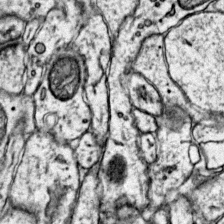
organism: Mouse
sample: Primary visual cortex